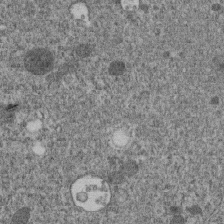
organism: C. elegans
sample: C. elegans embryo early stage